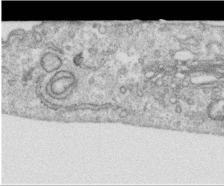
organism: Human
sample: Centriole in RPE cells